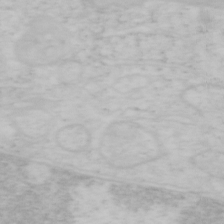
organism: Mouse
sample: OT-I killer T cells with ID8 ovarian cancer cells